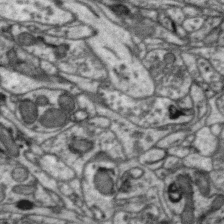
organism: Zebra finch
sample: Brain